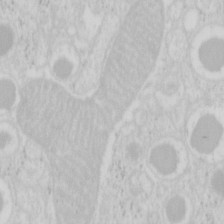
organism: Mouse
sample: Pancreas